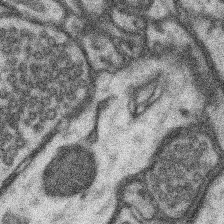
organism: Mouse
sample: Somatosensory cortex neuropil